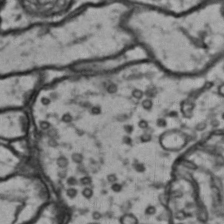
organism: Drosophila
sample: Brain